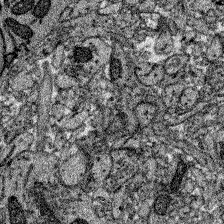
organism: Zebrafish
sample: Larval olfactory bulb